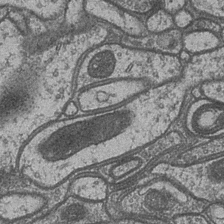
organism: Drosophila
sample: Optic medulla